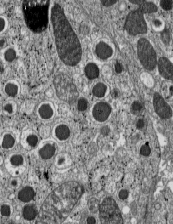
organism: C57BL Mouse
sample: Pancreatic islet